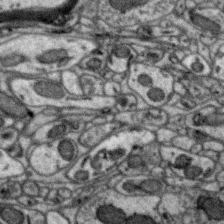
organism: Zebra finch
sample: Brain